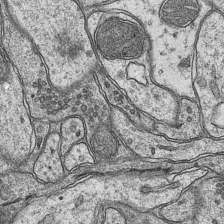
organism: Mouse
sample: CA1 Hippocampus